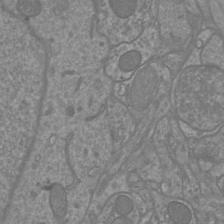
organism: Mouse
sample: Cortical neurons